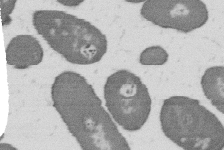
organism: B. subtilis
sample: Bacterial spore